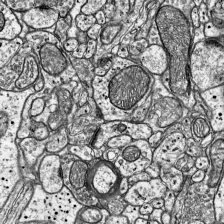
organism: Mouse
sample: Visual Cortex